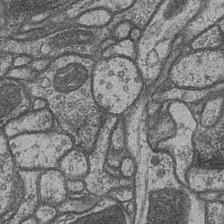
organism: Drosophila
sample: Optic medulla